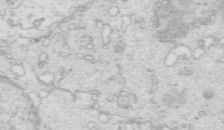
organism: Mouse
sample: Multiciliated cells